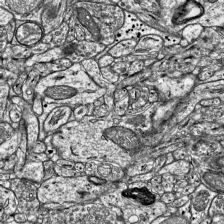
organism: Mouse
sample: Visual Cortex